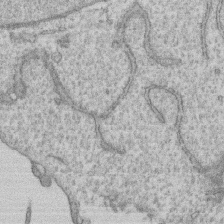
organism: Human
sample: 1205lu cells